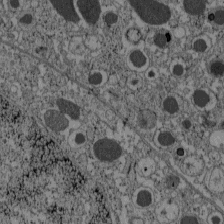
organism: C57BL Mouse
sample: Pancreatic islet